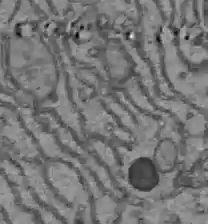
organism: C57BL Mouse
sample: Liver